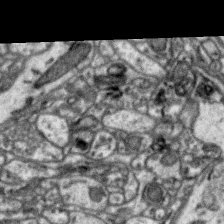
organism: Zebra finch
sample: Brain